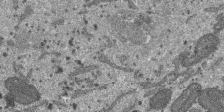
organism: Human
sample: Lung epithelial cells infected with SARS-CoV-2